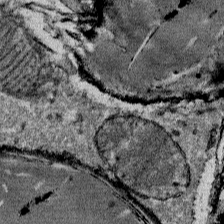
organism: Mouse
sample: Mouse Salivary gland